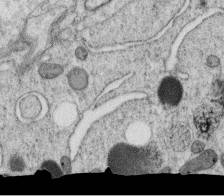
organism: C. elegans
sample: C. elegans oocyte; sperm cells